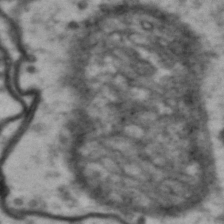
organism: Drosophila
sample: Brain